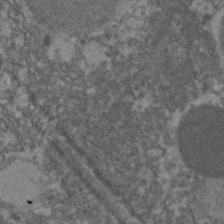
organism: Zebrafish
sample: Zebrafish embryo